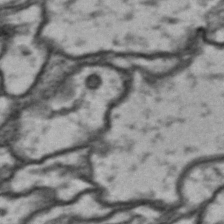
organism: Drosophila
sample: Brain